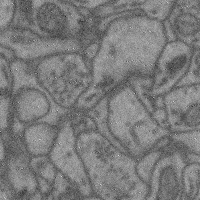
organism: Mouse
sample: Cerebral cortex